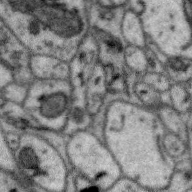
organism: Zebra finch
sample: Brain